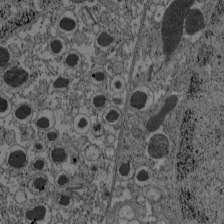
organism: C57BL Mouse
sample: Pancreatic islet